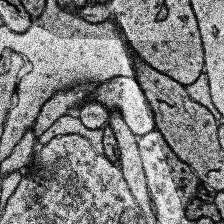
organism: Human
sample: Temporal Lobe